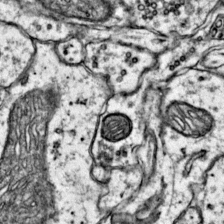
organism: Mouse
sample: Primary visual cortex